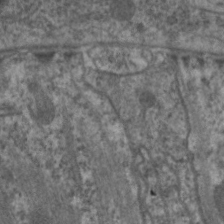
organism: C. elegans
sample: Pharynx